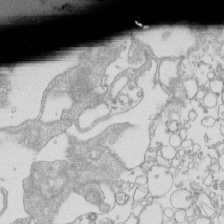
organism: Mouse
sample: Macrophages